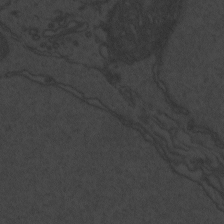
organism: Zebrafish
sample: Macrophage infected with Toxoplasma gondii